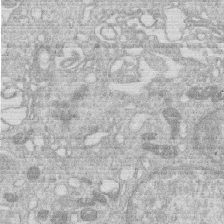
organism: Human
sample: Macrophage cells